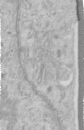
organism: Human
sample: Centriole in RPE cells